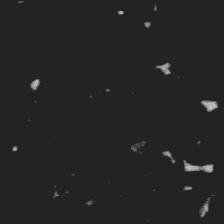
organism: Platynereis dumerilii